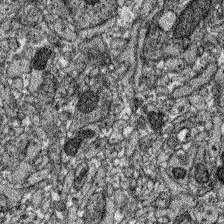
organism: Zebrafish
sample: Larval olfactory bulb